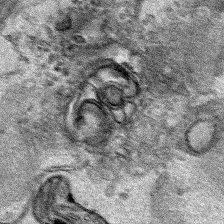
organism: Human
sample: Mitochondria in HCT116 cells